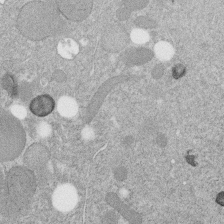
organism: C. elegans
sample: C. elegans embryo early stage